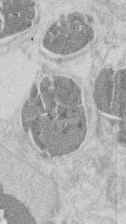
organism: Mouse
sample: T cell stromal cell synapse